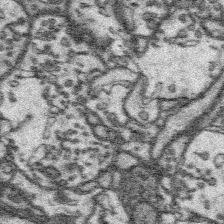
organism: Platynereis dumerilii